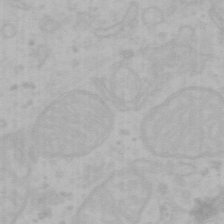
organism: Mouse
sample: Choroid plexus